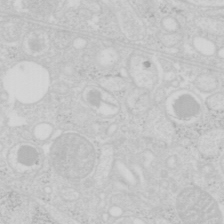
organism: Mouse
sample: Pancreas